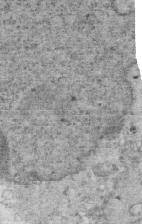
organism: Mouse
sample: Multiciliated cells